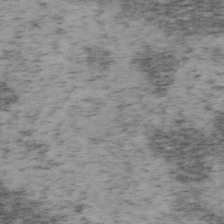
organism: Mouse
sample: OT-I killer T cells with ID8 ovarian cancer cells